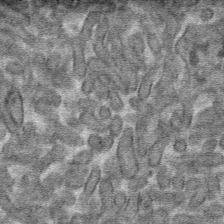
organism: Mouse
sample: Mouse hepatocytes